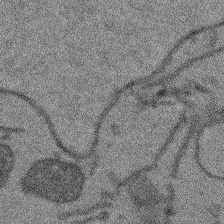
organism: Arabidopsis thaliana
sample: Root tip